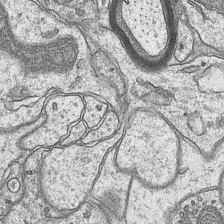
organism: Mouse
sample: CA1 Hippocampus